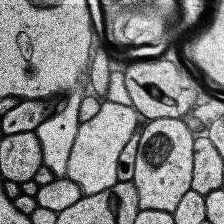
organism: Human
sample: Temporal Lobe